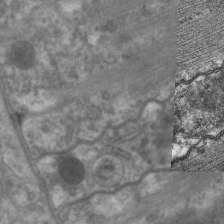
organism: C. elegans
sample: Pharynx